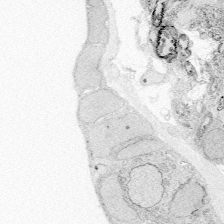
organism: Zebrafish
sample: Whole-Brain